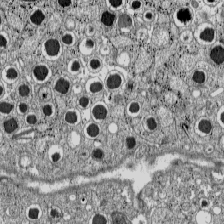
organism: C57BL Mouse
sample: Pancreatic islet